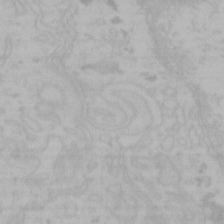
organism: Mouse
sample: Choroid plexus